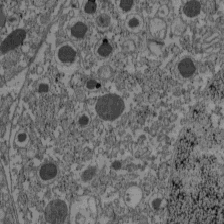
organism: C57BL Mouse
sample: Pancreatic islet